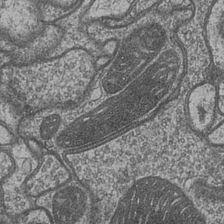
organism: Drosophila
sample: Optic medulla